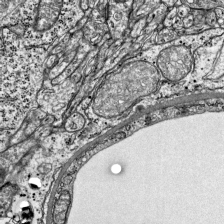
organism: Mouse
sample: Visual Cortex